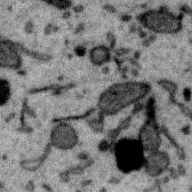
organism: Zebra finch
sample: Brain